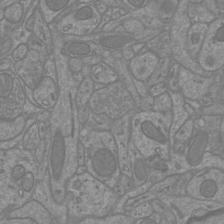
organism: Mouse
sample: Cortical neurons